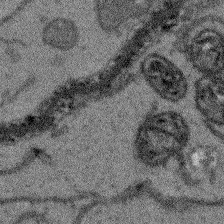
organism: Arabidopsis thaliana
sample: Root tip